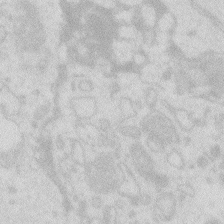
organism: Zebrafish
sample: Macrophage